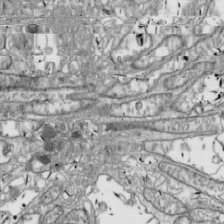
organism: Drosophila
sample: Cell division; meiosis; drosophila spermatocytes